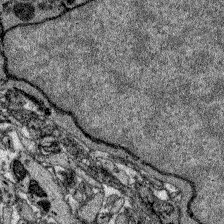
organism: Zebrafish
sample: Larval olfactory bulb